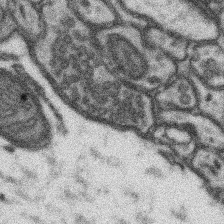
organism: Mouse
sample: Somatosensory cortex neuropil